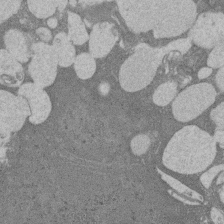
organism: Rat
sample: Salivary granule